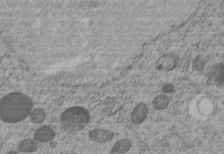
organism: C. elegans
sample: C. elegans embryo early stage